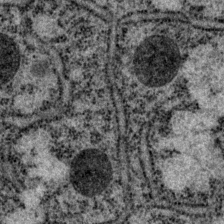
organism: P. pacificus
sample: Pharynx